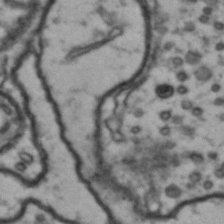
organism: Drosophila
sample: Brain